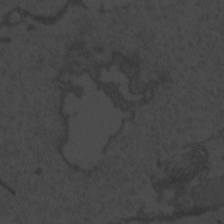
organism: Zebrafish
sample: Macrophage infected with Toxoplasma gondii